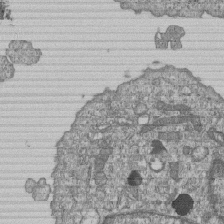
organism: Human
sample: MDA-MB-231 cells